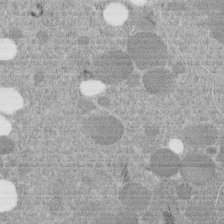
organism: C. elegans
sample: C. elegans embryo early stage